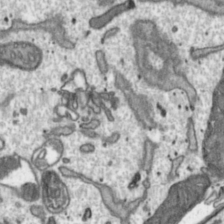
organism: Toxoplasma gondii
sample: Parasites in a vacuole inside a host cell